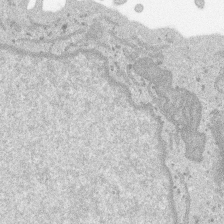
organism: Human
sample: Lung epithelial cells infected with SARS-CoV-2